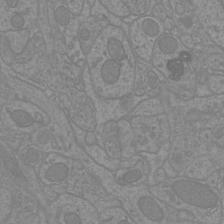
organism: Mouse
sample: Cortical neurons